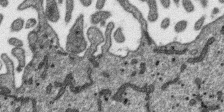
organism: Human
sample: Lung epithelial cells infected with SARS-CoV-2